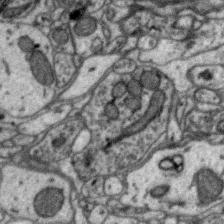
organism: Zebra finch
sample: Brain